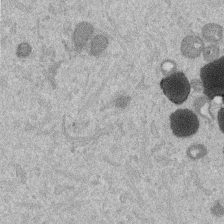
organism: Mouse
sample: Dividing mouse embryo 1 cell stage